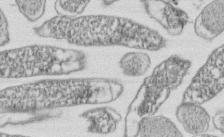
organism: E. coli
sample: Bacterial nucleoid